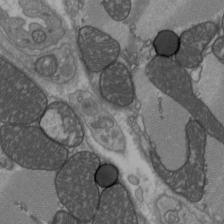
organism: C57BL Mouse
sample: Heart